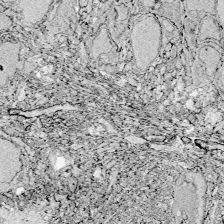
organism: Zebrafish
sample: Whole-Brain